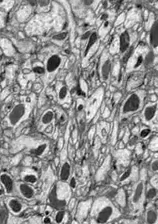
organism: Drosophila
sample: Optic lobe